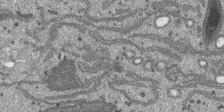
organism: Human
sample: Lung epithelial cells infected with SARS-CoV-2